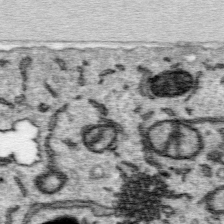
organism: Human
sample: HeLa cells